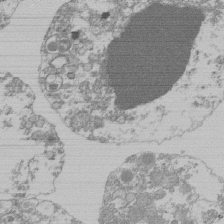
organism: Mouse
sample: Activated Pmel transgenic CD8+ T Cells